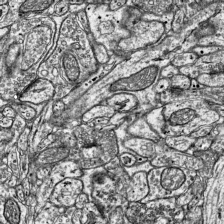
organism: Mouse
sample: Visual Cortex